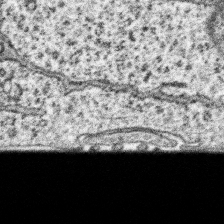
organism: Human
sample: HeLa cells